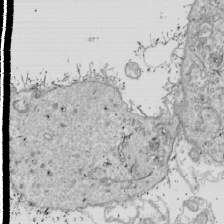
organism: Drosophila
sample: Cell division; meiosis; drosophila spermatocytes